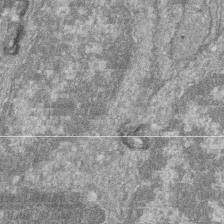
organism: Zebrafish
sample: Cilia; retinal pigment epithelium